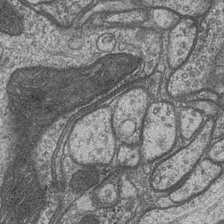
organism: Drosophila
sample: Optic medulla